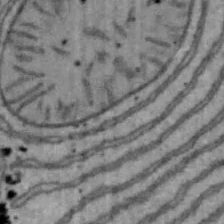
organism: Mouse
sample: Liver